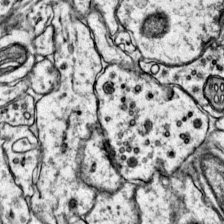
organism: Mouse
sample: Primary visual cortex